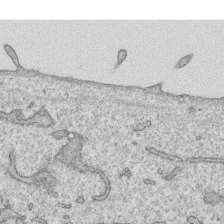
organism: Human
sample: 1205lu cells